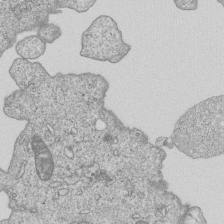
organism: Human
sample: MDA-MB-231 cells